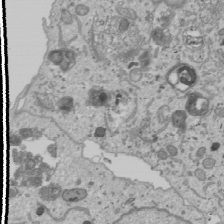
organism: Human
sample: Mitochondria in U2OS cells